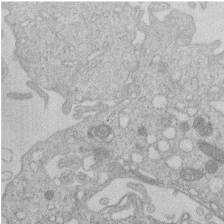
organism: Human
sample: Macrophage cells